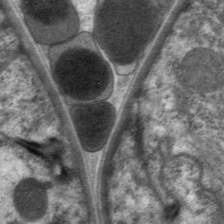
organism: C. elegans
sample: Pharynx